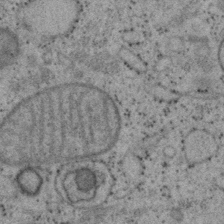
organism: Human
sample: HeLa cells